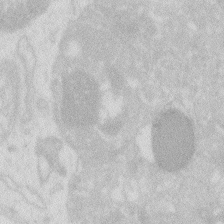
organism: Zebrafish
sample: Macrophage